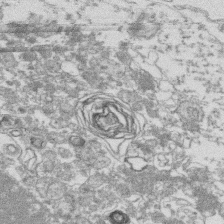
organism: Human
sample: HeLa cell HIV synapse